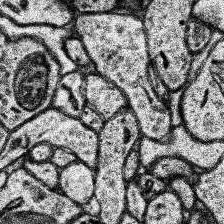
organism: Human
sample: Temporal Lobe